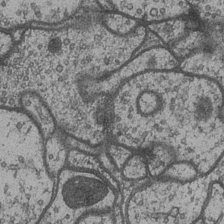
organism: Drosophila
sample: Optic medulla